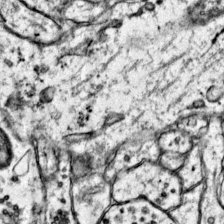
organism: Mouse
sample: Primary visual cortex